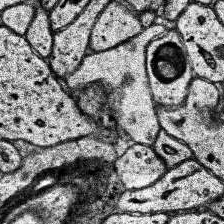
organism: Human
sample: Temporal Lobe